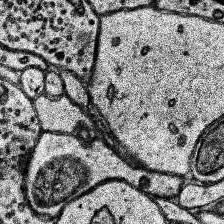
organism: Human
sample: Temporal Lobe